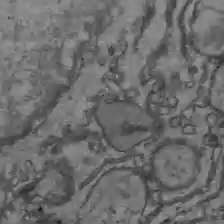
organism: C57BL Mouse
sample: Liver